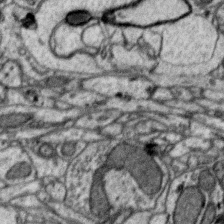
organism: Zebra finch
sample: Brain